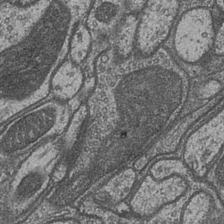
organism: Drosophila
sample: Optic medulla